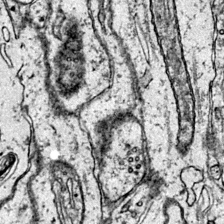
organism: Mouse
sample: Primary visual cortex